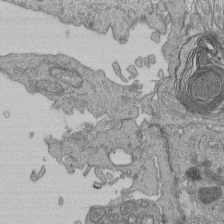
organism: Human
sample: Retinal organoid Rod and Cone cells